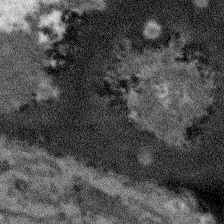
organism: Arabidopsis thaliana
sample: Root tip